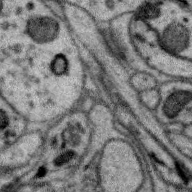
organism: Zebra finch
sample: Brain